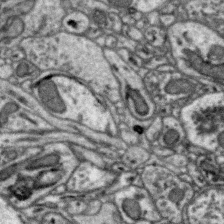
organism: Zebra finch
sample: Brain